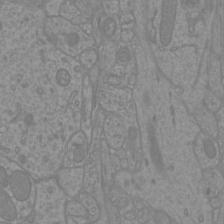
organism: Mouse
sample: Cortical neurons